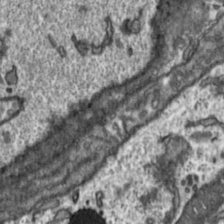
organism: Toxoplasma gondii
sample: Parasites in a vacuole inside a host cell